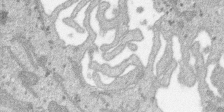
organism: Human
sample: Lung epithelial cells infected with SARS-CoV-2